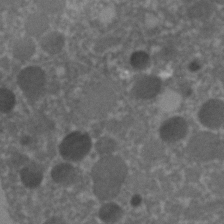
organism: C. elegans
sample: C. elegans embryo